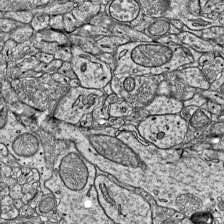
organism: Mouse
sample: Visual Cortex